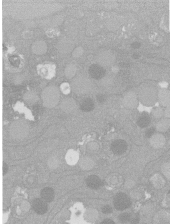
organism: C. elegans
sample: C. elegans oocyte; sperm cells